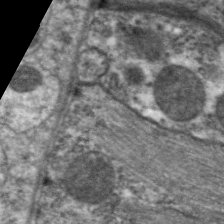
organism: C. elegans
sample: Pharynx